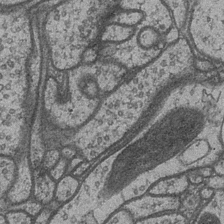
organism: Drosophila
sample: Optic medulla